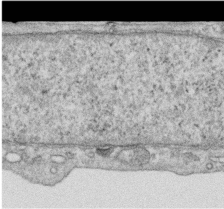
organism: Human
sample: Centriole in RPE cells